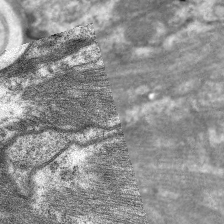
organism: C. elegans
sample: Pharynx